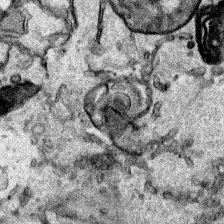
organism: Human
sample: Mitochondria in HCT116 cells